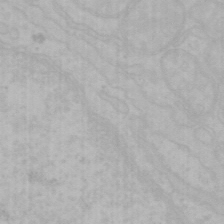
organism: Mouse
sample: Choroid plexus